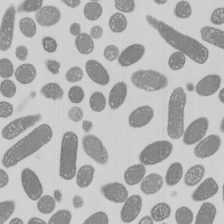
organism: E. coli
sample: Bacterial nucleoid